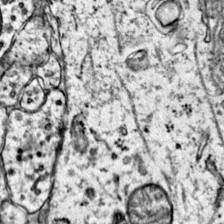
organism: Mouse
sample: Primary visual cortex